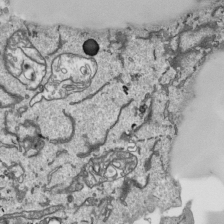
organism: Human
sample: Mitochondria in HCT116 cells